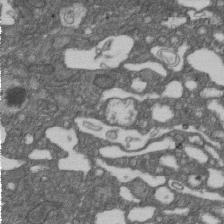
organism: Drosophila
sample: Nephrocyte